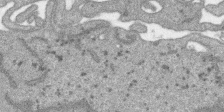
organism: Human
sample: Lung epithelial cells infected with SARS-CoV-2